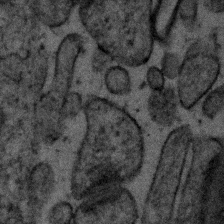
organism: Human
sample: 1205lu cells